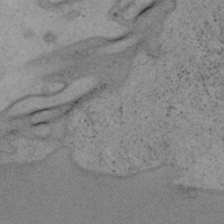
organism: Mouse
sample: OT-I killer T cells with ID8 ovarian cancer cells